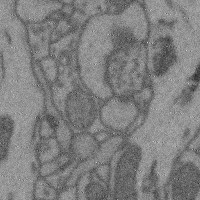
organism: Mouse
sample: Cerebral cortex